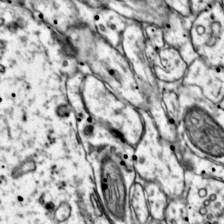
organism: Mouse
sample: Primary visual cortex